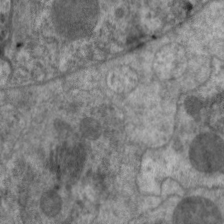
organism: C. elegans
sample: Pharynx